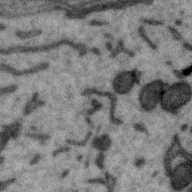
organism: Zebra finch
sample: Brain